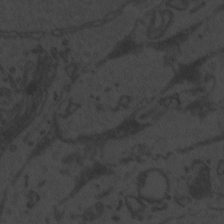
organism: Zebrafish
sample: Macrophage infected with Toxoplasma gondii